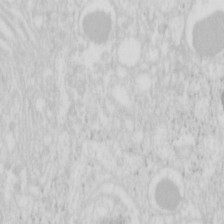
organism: Mouse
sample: Pancreas